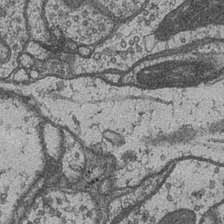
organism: Drosophila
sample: Optic medulla